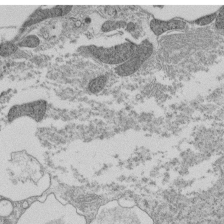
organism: Tetrahymena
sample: Cilia in tetrahymena